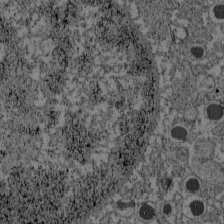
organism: C57BL Mouse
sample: Pancreatic islet